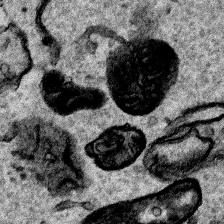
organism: Human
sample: Mitochondria in HCT116 cells